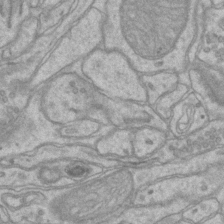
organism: Mouse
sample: CA1 Hippocampus